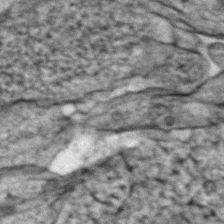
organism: Zebrafish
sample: Zebrafish embryo